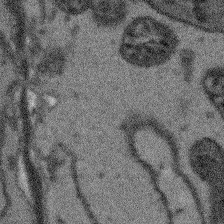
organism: Arabidopsis thaliana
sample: Root tip